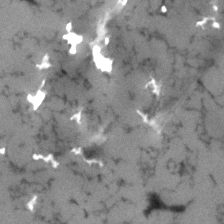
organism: Human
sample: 1205lu cells